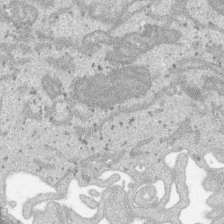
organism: Human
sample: Lung epithelial cells infected with SARS-CoV-2